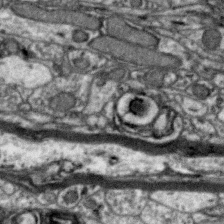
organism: Zebra finch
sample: Brain